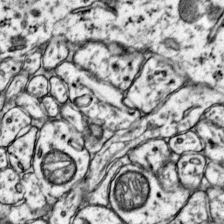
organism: Mouse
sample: Primary visual cortex